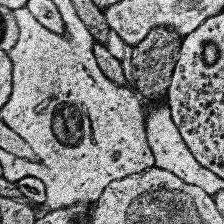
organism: Human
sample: Temporal Lobe